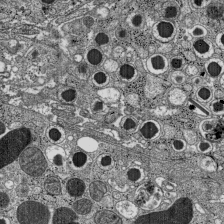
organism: C57BL Mouse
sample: Pancreatic islet